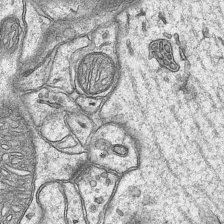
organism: Mouse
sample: CA1 Hippocampus